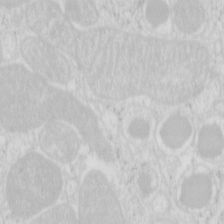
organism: Mouse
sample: Pancreas